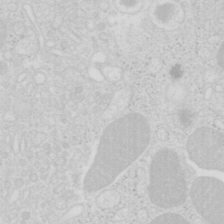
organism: Mouse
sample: Pancreas